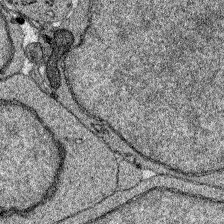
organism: Zebrafish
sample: Larval olfactory bulb